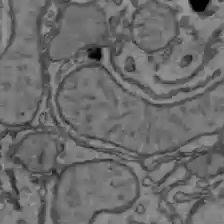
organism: C57BL Mouse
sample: Liver